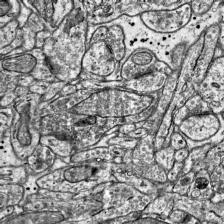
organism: Mouse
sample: Visual Cortex